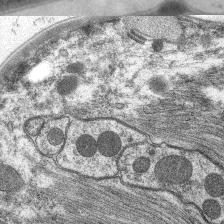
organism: C. elegans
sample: Pharynx